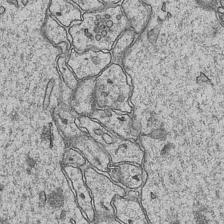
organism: Mouse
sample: CA1 Hippocampus